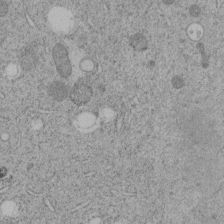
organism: C. elegans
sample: C. elegans embryo early stage